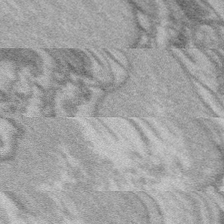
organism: Platynereis dumerilii